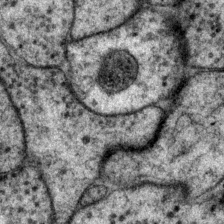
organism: P. pacificus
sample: Pharynx